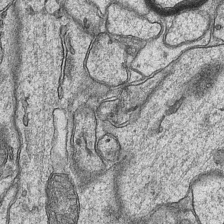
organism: Mouse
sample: CA1 Hippocampus